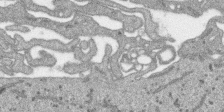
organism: Human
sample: Lung epithelial cells infected with SARS-CoV-2